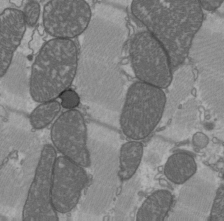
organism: C57BL Mouse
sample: Heart